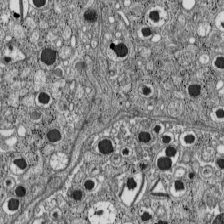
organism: C57BL Mouse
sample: Pancreatic islet